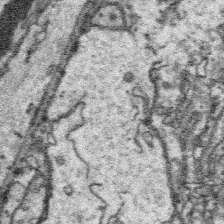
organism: Platynereis dumerilii